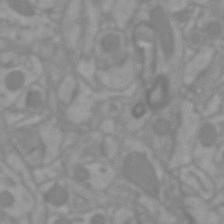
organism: Mouse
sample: Cortical neurons